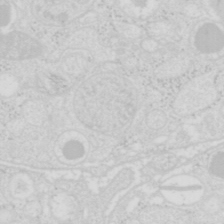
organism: Mouse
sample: Pancreas